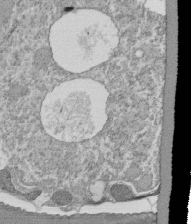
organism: Tetrahymena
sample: Cilia in tetrahymena